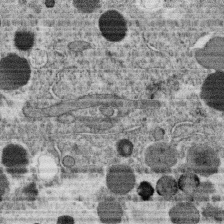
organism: C. elegans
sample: C. elegans oocyte; sperm cells